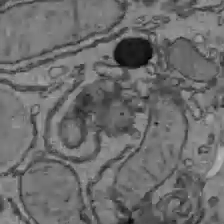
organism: C57BL Mouse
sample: Liver